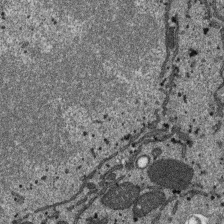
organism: Human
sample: Lung epithelial cells infected with SARS-CoV-2